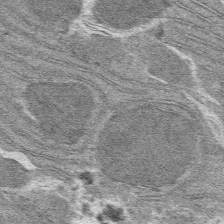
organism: Mouse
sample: Mouse hepatocytes